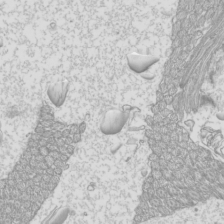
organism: Mouse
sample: Cilia; mouse epididymis